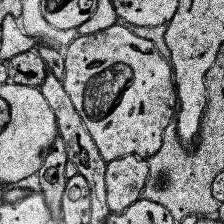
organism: Human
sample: Temporal Lobe